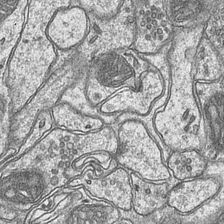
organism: Mouse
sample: CA1 Hippocampus